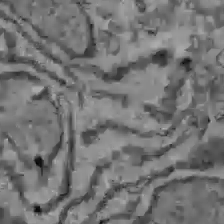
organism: C57BL Mouse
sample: Liver